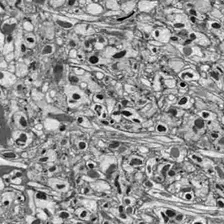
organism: Drosophila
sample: Optic lobe